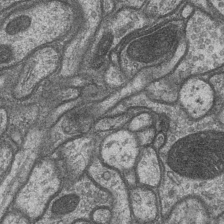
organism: Drosophila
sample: Optic medulla